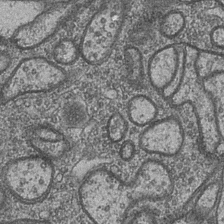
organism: Drosophila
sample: Optic medulla